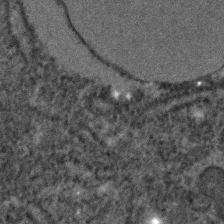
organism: C. elegans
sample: C. elegans embryo